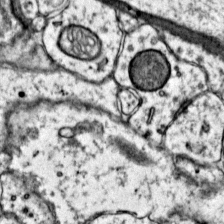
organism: Mouse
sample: Primary visual cortex